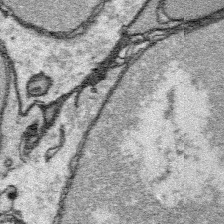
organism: Platynereis dumerilii